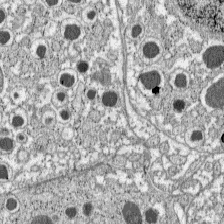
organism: C57BL Mouse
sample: Pancreatic islet